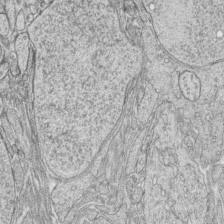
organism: Zebrafish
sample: synaptic ribbons in rod cells and cone cells